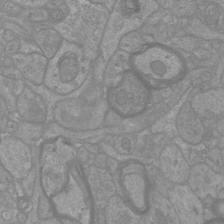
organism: Mouse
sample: Cortical neurons